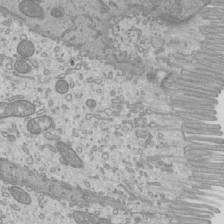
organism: Mouse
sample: Cilia; mouse epididymis